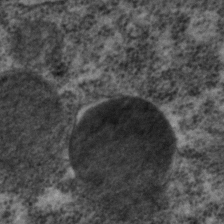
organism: C. elegans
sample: C. elegans embryo